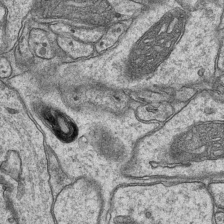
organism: Mouse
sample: CA1 Hippocampus